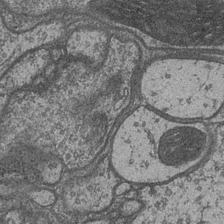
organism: Drosophila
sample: Optic medulla